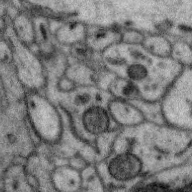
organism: Zebra finch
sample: Brain